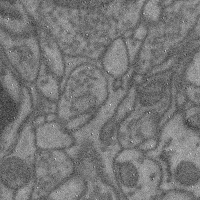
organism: Mouse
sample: Cerebral cortex